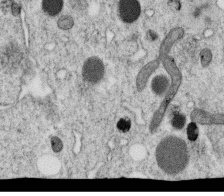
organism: C. elegans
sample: C. elegans oocyte; sperm cells